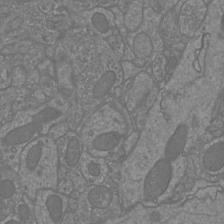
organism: Mouse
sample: Cortical neurons